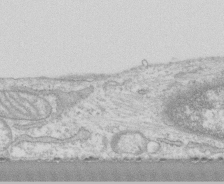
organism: Human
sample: CRL-1474